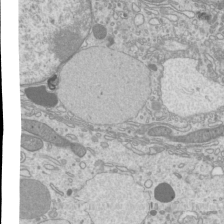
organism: Mouse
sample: Cilia; mouse epididymis